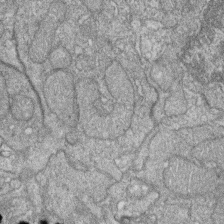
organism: Zebrafish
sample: Cilia; retinal pigment epithelium